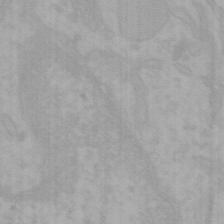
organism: Mouse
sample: Choroid plexus